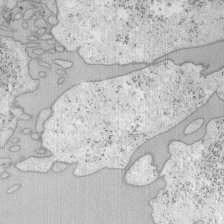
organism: Mouse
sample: OT-I killer T cells with ID8 ovarian cancer cells